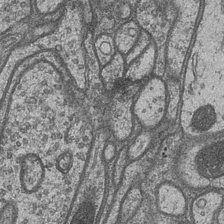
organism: Drosophila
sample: Optic medulla